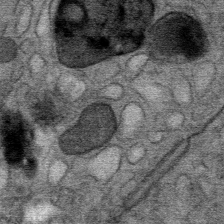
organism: Mouse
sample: Mouse Salivary gland